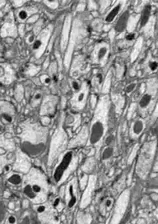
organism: Drosophila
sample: Optic lobe